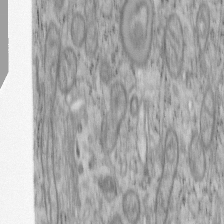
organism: Human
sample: HeLa cells